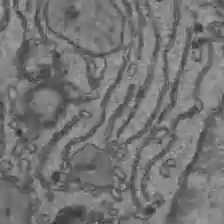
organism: C57BL Mouse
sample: Liver